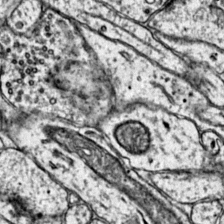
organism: Mouse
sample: Primary visual cortex